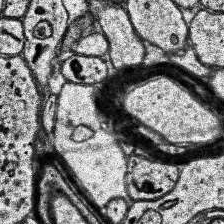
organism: Human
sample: Temporal Lobe